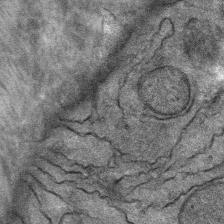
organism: Mouse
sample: Mouse Salivary gland